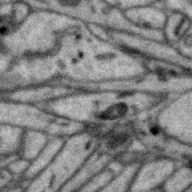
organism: Zebra finch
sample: Brain